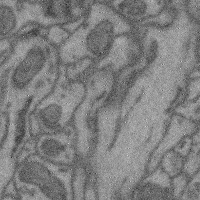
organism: Mouse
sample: Cerebral cortex